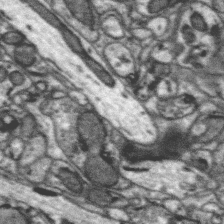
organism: Zebra finch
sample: Brain